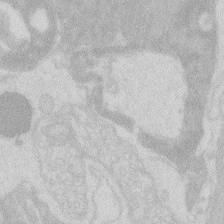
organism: Zebrafish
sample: Macrophage